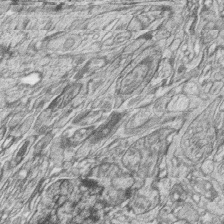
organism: Zebrafish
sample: synaptic ribbons in rod cells and cone cells